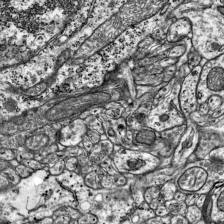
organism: Mouse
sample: Visual Cortex